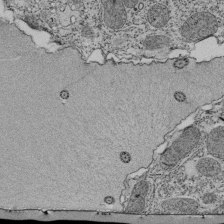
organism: Tetrahymena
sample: Cilia in tetrahymena